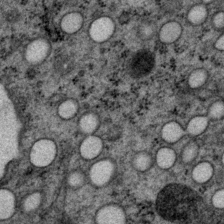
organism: P. pacificus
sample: Pharynx